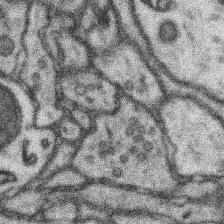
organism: Mouse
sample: Somatosensory cortex neuropil